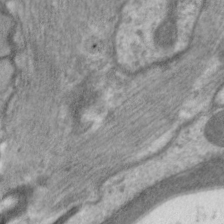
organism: C. elegans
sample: Pharynx